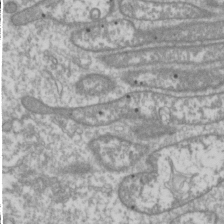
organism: Drosophila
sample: Cell division; meiosis; drosophila spermatocytes